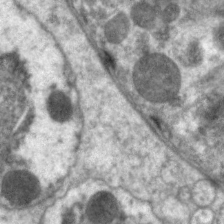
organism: C. elegans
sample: Pharynx